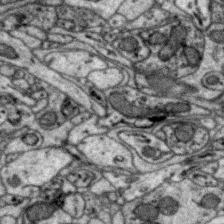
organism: Zebra finch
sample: Brain